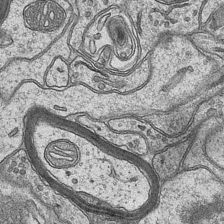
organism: Mouse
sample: CA1 Hippocampus